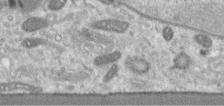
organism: Human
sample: Centriole in RPE cells